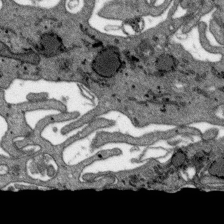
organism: Human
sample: Lung epithelial cells, uninfected (mock) control